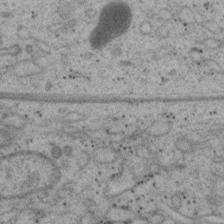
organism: Human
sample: HeLa cells